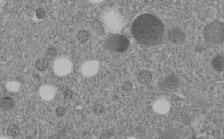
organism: C. elegans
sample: C. elegans embryo early stage